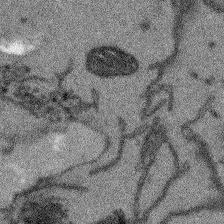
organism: Arabidopsis thaliana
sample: Root tip